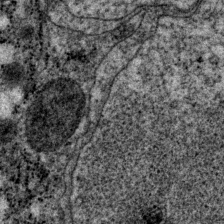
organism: P. pacificus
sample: Pharynx